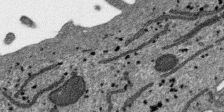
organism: Human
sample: Lung epithelial cells, uninfected (mock) control